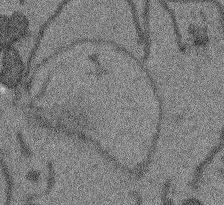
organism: Arabidopsis thaliana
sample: Root tip